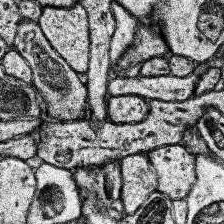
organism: Human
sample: Temporal Lobe